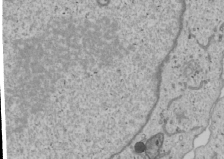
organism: Human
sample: Mitochondria in U2OS cells